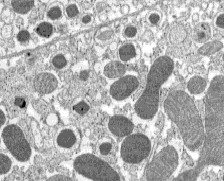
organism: C57BL Mouse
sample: Pancreatic islet